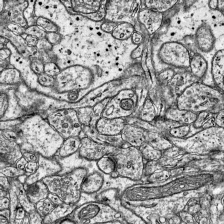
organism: Mouse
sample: Visual Cortex